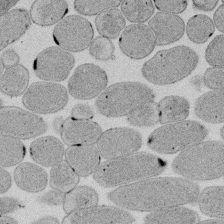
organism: E. coli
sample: Bacterial nucleoid